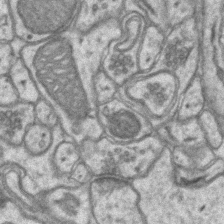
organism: Mouse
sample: CA1 Hippocampus